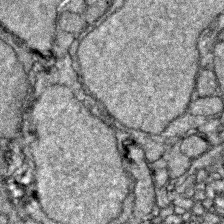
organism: Zebrafish